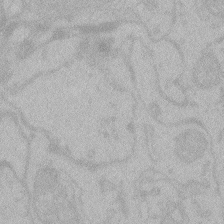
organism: Zebrafish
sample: Macrophage infected with Toxoplasma gondii